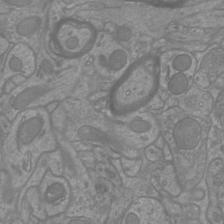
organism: Mouse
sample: Cortical neurons